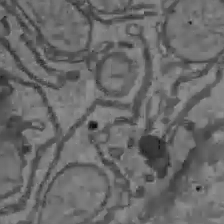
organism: C57BL Mouse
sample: Liver